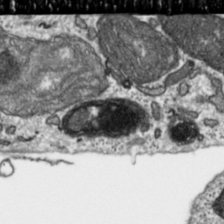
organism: Toxoplasma gondii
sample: Parasites in a vacuole inside a host cell